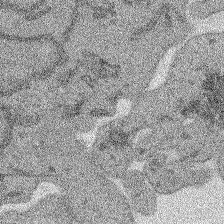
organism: Human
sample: HeLa cells